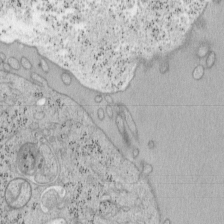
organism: Mouse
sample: OT-I killer T cells with ID8 ovarian cancer cells